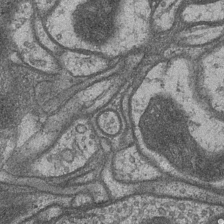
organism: Drosophila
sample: Optic medulla